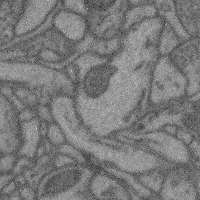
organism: Mouse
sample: Cerebral cortex